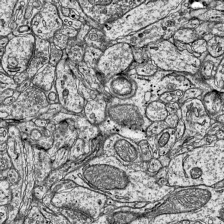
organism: Mouse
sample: Visual Cortex